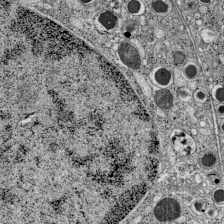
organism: C57BL Mouse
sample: Pancreatic islet